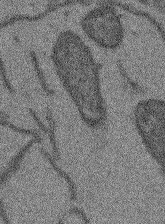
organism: Arabidopsis thaliana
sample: Root tip